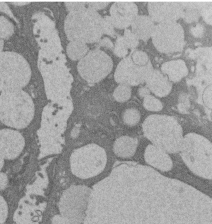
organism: Rat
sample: Salivary granule